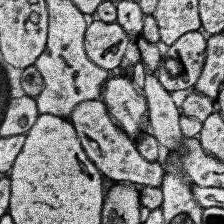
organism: Human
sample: Temporal Lobe